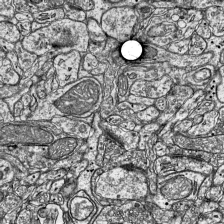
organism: Mouse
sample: Visual Cortex